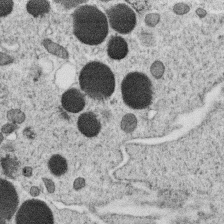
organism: C. elegans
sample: C. elegans oocyte; sperm cells